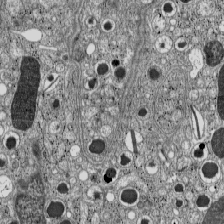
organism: C57BL Mouse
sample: Pancreatic islet